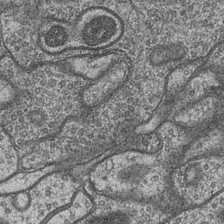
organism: Drosophila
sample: Optic medulla